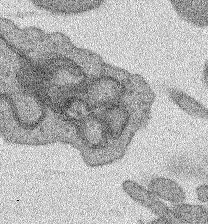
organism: Human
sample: HeLa cells